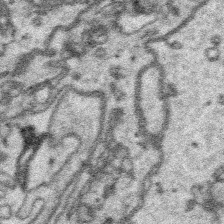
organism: Platynereis dumerilii